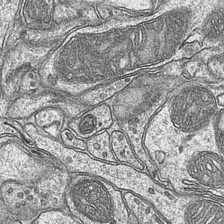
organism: Mouse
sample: CA1 Hippocampus